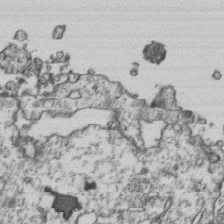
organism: Human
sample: Activated Jurkat CD4+ T cells